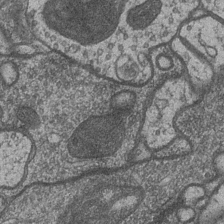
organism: Drosophila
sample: Optic medulla